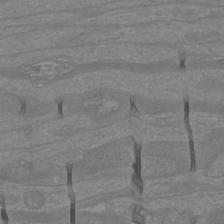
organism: Mouse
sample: Cortical neurons